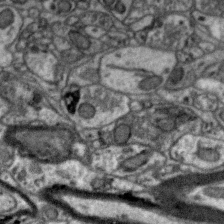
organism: Zebra finch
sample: Brain